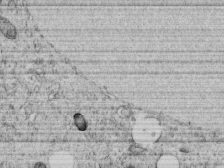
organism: C. elegans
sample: C. elegans embryo early stage